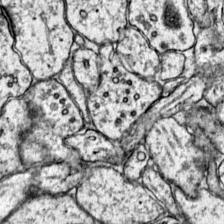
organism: Mouse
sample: Primary visual cortex